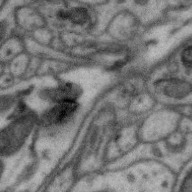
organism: Zebra finch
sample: Brain